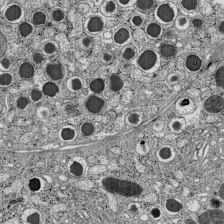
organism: C57BL Mouse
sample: Pancreatic islet